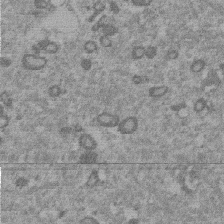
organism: Mouse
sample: Dividing mouse embryo 1 cell stage